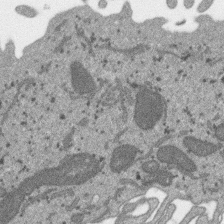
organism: Human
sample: Lung epithelial cells infected with SARS-CoV-2